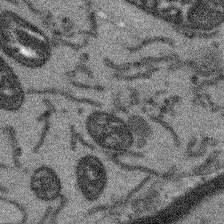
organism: Arabidopsis thaliana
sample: Root tip